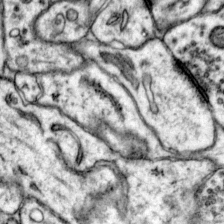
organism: Mouse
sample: Primary visual cortex